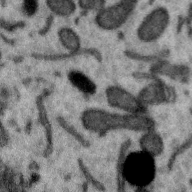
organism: Zebra finch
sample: Brain